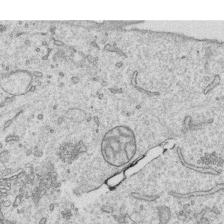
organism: Human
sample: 1205lu cells